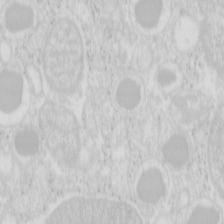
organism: Mouse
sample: Pancreas